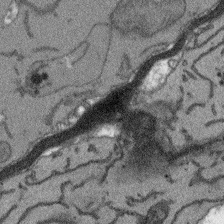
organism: Arabidopsis thaliana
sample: Root tip